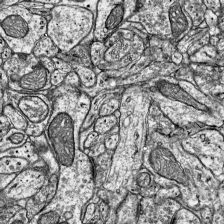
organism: Mouse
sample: Visual Cortex